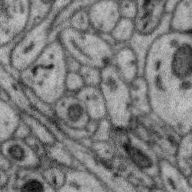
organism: Zebra finch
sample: Brain